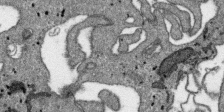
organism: Human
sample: Lung epithelial cells, uninfected (mock) control